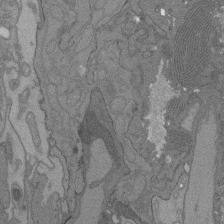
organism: C. elegans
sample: AFD neurons C. elegans